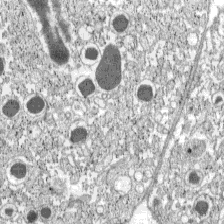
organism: C57BL Mouse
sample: Pancreatic islet